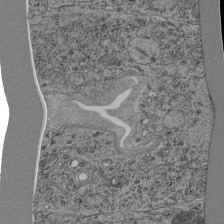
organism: C. elegans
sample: C. elegans pharynx